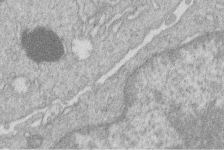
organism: Human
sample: Macrophage cells